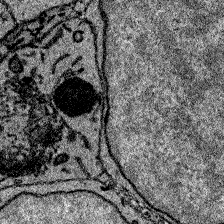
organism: Zebrafish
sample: Larval olfactory bulb